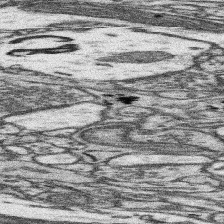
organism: Mouse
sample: Somatosensory cortex neuropil